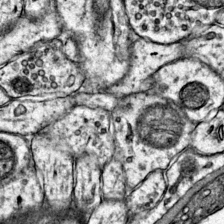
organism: Mouse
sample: Primary visual cortex